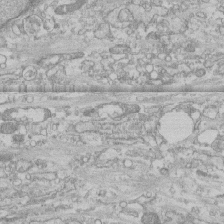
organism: Human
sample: CRL-1474